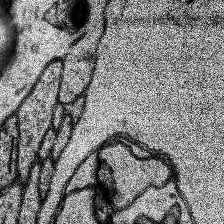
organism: Human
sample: Temporal Lobe